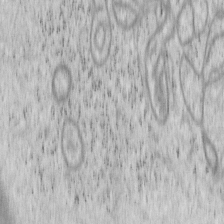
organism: Human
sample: HeLa cells